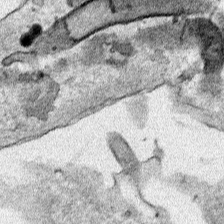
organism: Human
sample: Mitochondria in HCT116 cells